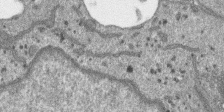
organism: Human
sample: Lung epithelial cells infected with SARS-CoV-2